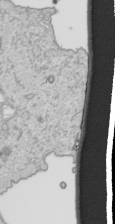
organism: Human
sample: Mitochondria in HCT116 cells